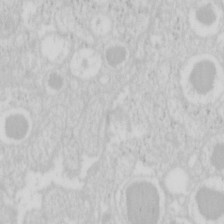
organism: Mouse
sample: Pancreas